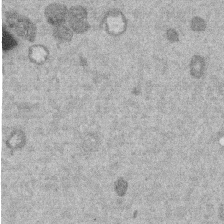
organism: Mouse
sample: Dividing mouse embryo 1 cell stage